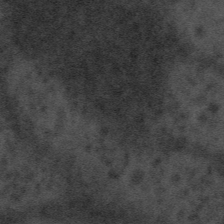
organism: Tuwongella immobilis